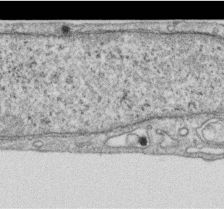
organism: Human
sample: Centriole in RPE cells